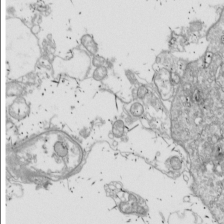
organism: Drosophila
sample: Cell division; meiosis; drosophila spermatocytes